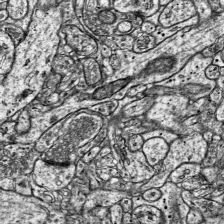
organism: Mouse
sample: Visual Cortex